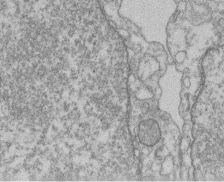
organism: Mouse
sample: T cell stromal cell synapse